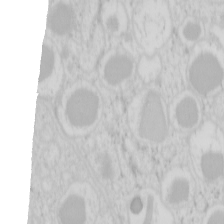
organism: Mouse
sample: Pancreas